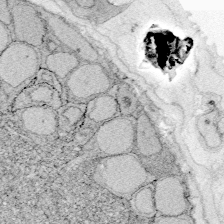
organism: Zebrafish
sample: Whole-Brain